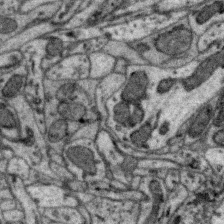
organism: Zebra finch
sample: Brain